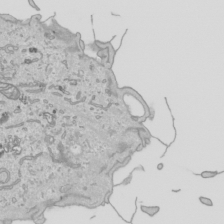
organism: Human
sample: Mitochondria in HCT116 cells